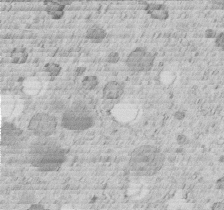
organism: C. elegans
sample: C. elegans embryo early stage